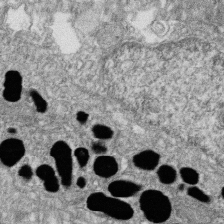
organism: Zebrafish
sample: Cilia; retinal pigment epithelium